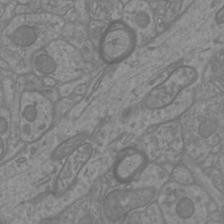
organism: Mouse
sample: Cortical neurons